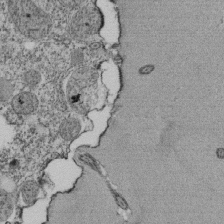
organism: Tetrahymena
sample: Cilia in tetrahymena